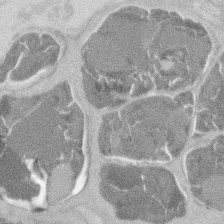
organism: Mouse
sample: T cell stromal cell synapse